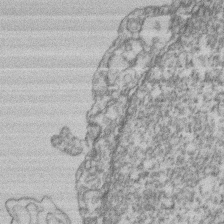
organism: Mouse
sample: T cell stromal cell synapse